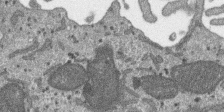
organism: Human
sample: Lung epithelial cells infected with SARS-CoV-2